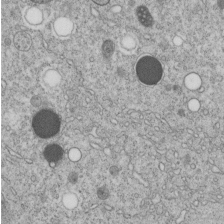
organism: C. elegans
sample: C. elegans embryo early stage